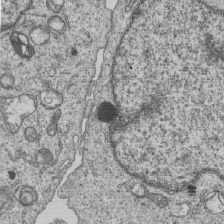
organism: Human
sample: MDA-MB-231 cells